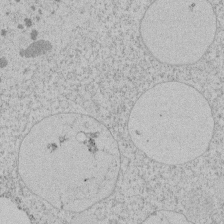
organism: Tetrahymena